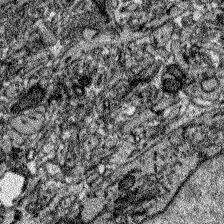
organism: Zebrafish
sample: Larval olfactory bulb